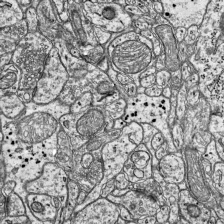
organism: Mouse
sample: Visual Cortex